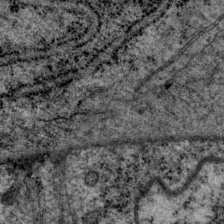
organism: P. pacificus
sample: Pharynx